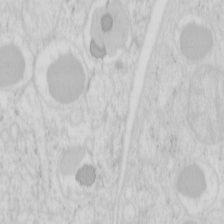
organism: Mouse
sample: Pancreas